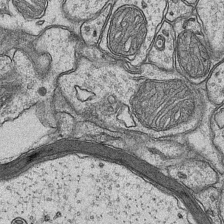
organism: Mouse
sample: CA1 Hippocampus